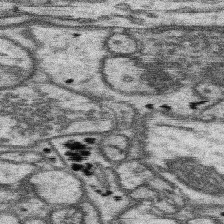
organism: Mouse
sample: Somatosensory cortex neuropil